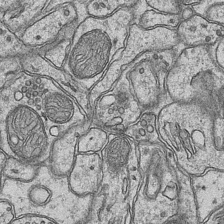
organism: Mouse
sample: CA1 Hippocampus